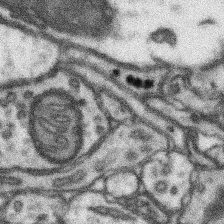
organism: Mouse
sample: Somatosensory cortex neuropil